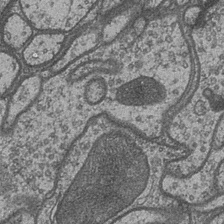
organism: Drosophila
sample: Optic medulla